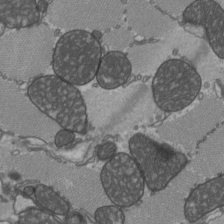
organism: C57BL Mouse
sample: Heart